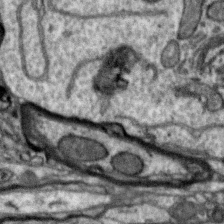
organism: Zebra finch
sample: Brain